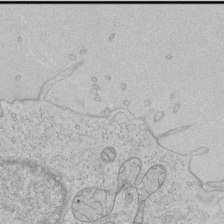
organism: Human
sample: Mitochondria in HCT116 cells